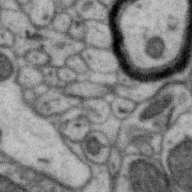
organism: Zebra finch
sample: Brain